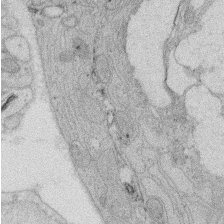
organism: Rat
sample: Salivary granule